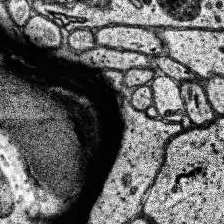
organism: Human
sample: Temporal Lobe